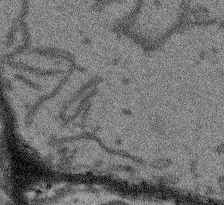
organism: Arabidopsis thaliana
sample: Root tip